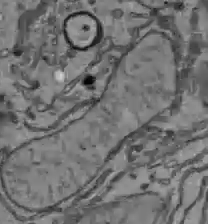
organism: C57BL Mouse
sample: Liver